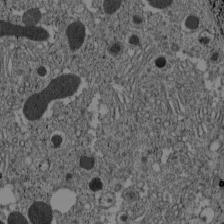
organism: C57BL Mouse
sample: Pancreatic islet